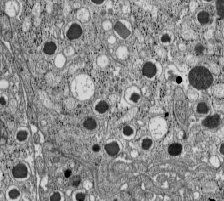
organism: C57BL Mouse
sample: Pancreatic islet